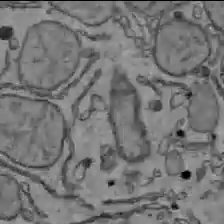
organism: C57BL Mouse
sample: Liver